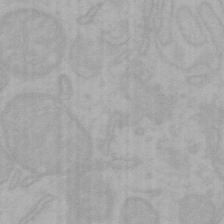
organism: Mouse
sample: Choroid plexus